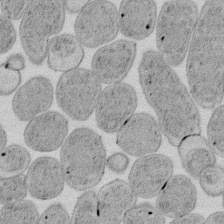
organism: E. coli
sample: Bacterial nucleoid